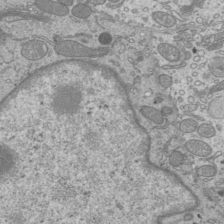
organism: Mouse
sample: Cilia; mouse epididymis